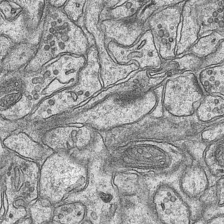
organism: Mouse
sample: CA1 Hippocampus